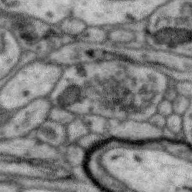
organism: Zebra finch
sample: Brain